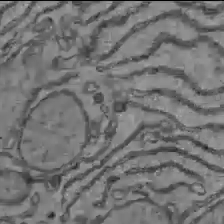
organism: C57BL Mouse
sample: Liver